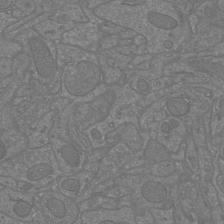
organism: Mouse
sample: Cortical neurons